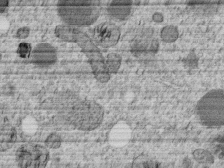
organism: C. elegans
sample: C. elegans embryo early stage